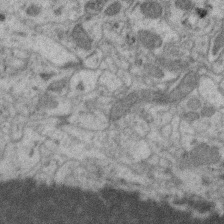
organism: Zebra finch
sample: Brain